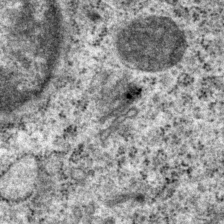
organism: P. pacificus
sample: Pharynx